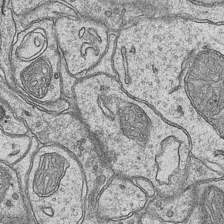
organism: Mouse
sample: CA1 Hippocampus